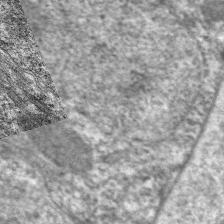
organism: C. elegans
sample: Pharynx